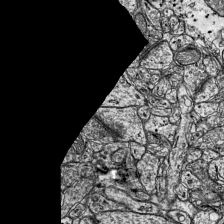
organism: Mouse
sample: Visual Cortex